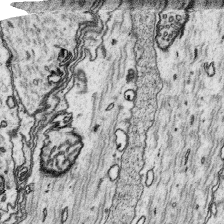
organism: Platynereis dumerilii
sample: Parapodia